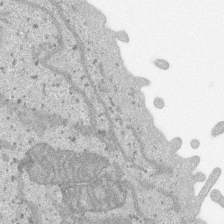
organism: Human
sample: Lung epithelial cells infected with SARS-CoV-2